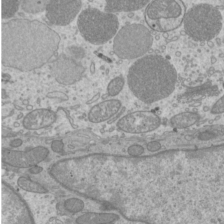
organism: Mouse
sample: Cilia; mouse epididymis